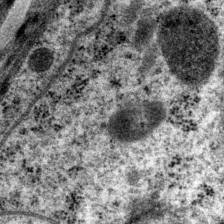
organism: P. pacificus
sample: Pharynx